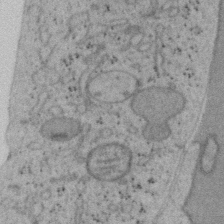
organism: Human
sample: HeLa cells